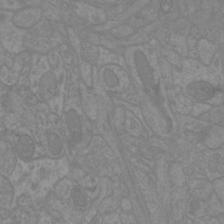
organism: Mouse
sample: Cortical neurons